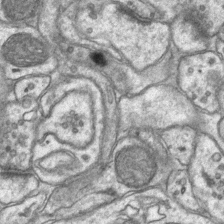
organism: Mouse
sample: CA1 Hippocampus